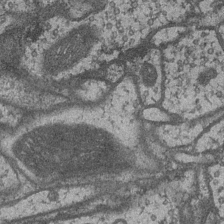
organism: Drosophila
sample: Optic medulla